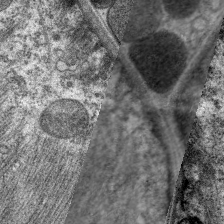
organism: C. elegans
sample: Pharynx